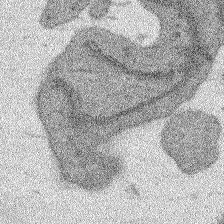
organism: Human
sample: HeLa cells